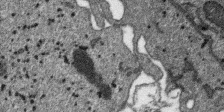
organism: Human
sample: Lung epithelial cells infected with SARS-CoV-2